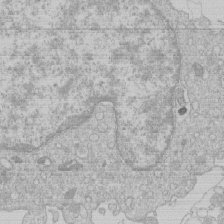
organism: Human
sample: Macrophage cells